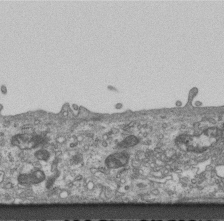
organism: Mouse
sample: Centriole in ependymal cells